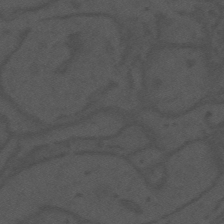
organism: Mouse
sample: Suprachiasmatic nucleus